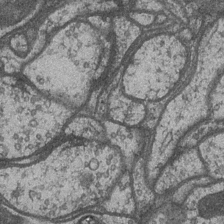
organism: Drosophila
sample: Optic medulla